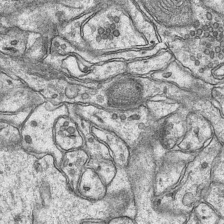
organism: Mouse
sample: CA1 Hippocampus